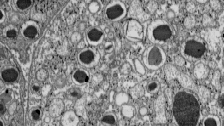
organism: C57BL Mouse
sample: Pancreatic islet